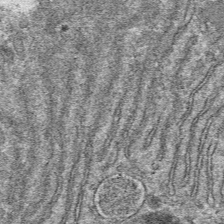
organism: Mouse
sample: Mouse hepatocytes